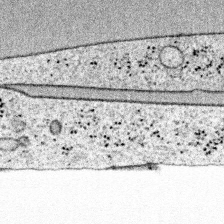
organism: Human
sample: HeLa cells